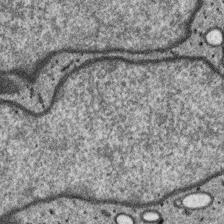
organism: Human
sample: Lung epithelial cells infected with SARS-CoV-2